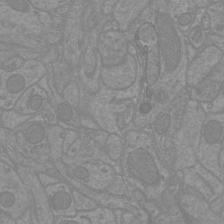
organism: Mouse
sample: Cortical neurons